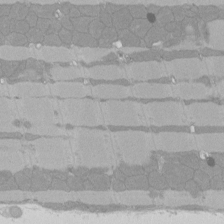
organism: Rat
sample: Left ventricle